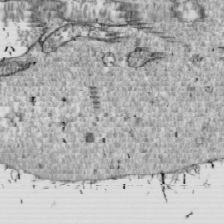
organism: Drosophila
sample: Cell division; meiosis; drosophila spermatocytes